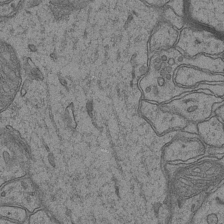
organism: Mouse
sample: CA1 Hippocampus